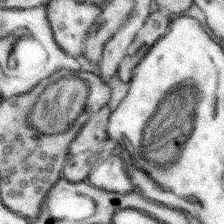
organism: Mouse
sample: Somatosensory cortex neuropil